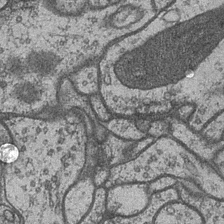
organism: Drosophila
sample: Optic medulla